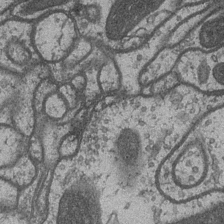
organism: Drosophila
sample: Optic medulla